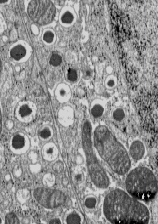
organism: C57BL Mouse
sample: Pancreatic islet